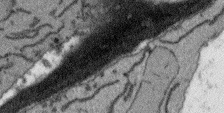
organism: Arabidopsis thaliana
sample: Root tip